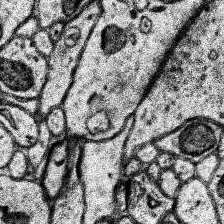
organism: Human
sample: Temporal Lobe